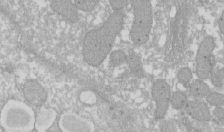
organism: Xenopus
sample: Cilia; centrioles in frog embryo cells